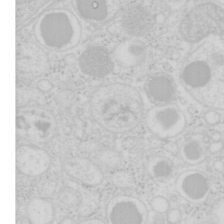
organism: Mouse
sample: Pancreas